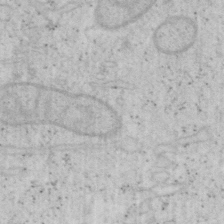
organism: Human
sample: HeLa cells